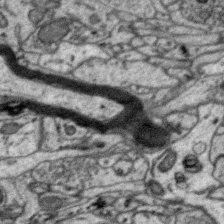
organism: Zebra finch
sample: Brain